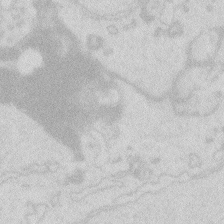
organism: Zebrafish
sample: Macrophage